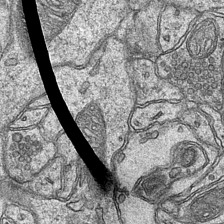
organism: Mouse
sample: CA1 Hippocampus